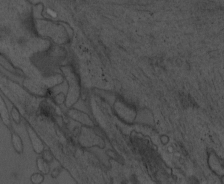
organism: Mouse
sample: OT-I killer T cells with ID8 ovarian cancer cells